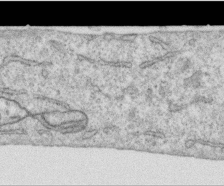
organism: Human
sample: Centriole in RPE cells